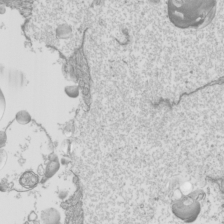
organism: Mouse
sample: Cilia; mouse epididymis